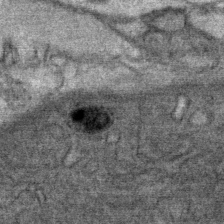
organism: Mouse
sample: Mouse Salivary gland